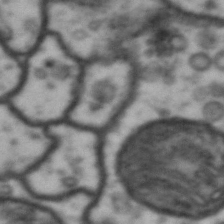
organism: Drosophila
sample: Brain